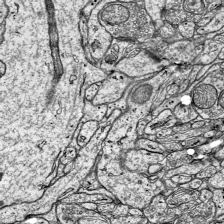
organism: Mouse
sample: Visual Cortex